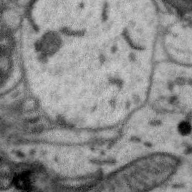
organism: Zebra finch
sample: Brain